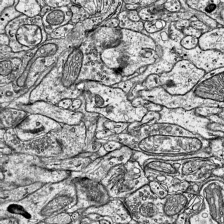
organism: Mouse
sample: Visual Cortex